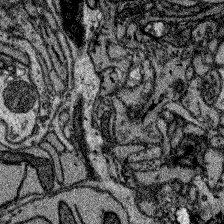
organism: Zebrafish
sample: Larval olfactory bulb